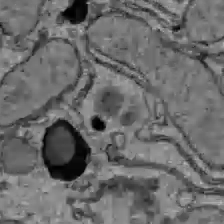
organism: C57BL Mouse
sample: Liver